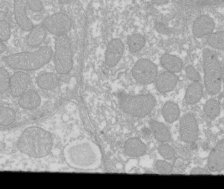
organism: Xenopus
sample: Cilia; centrioles in frog embryo cells